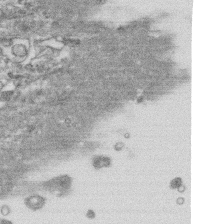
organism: Human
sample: CRL-1474